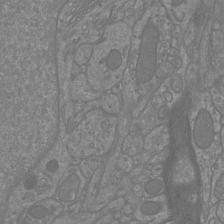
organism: Mouse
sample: Cortical neurons